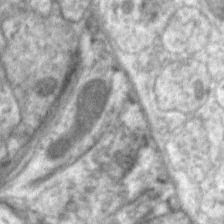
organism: C. elegans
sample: Pharynx